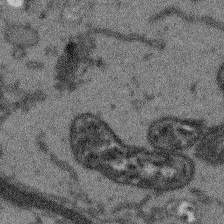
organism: Arabidopsis thaliana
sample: Root tip